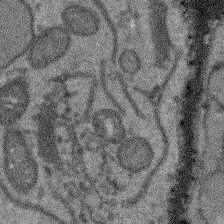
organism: Arabidopsis thaliana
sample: Root tip